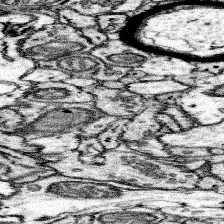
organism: Mouse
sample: Somatosensory cortex neuropil